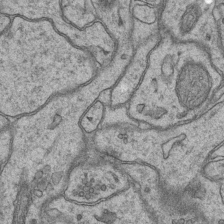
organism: Mouse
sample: CA1 Hippocampus